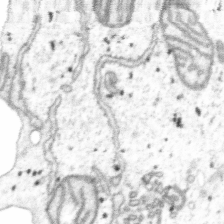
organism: Human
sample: HeLa cells